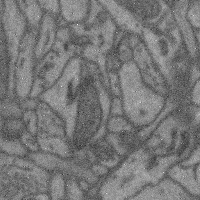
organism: Mouse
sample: Cerebral cortex